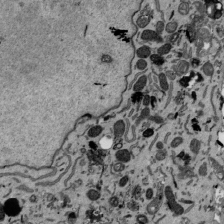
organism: Mouse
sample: ED-1 cell nuclei; centrioles